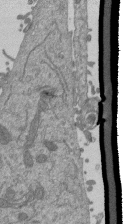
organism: Mouse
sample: ED-1 cell nuclei; centrioles